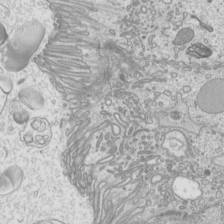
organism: Mouse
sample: Cilia; mouse epididymis